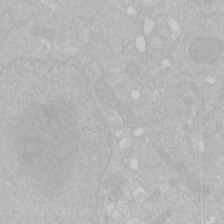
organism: Human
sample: HIV infected U937 cells